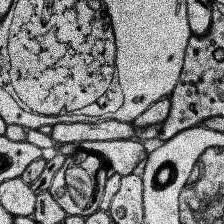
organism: Human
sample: Temporal Lobe